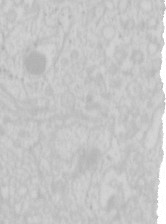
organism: Mouse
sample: Pancreas